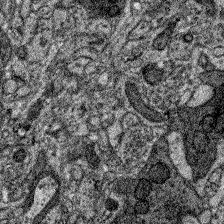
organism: Zebrafish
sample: Larval olfactory bulb